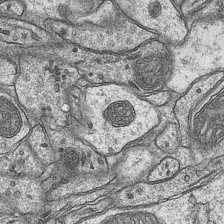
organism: Mouse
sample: CA1 Hippocampus